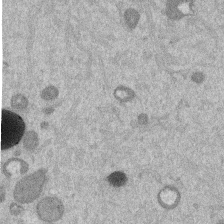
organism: Mouse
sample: Dividing mouse embryo 1 cell stage